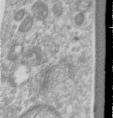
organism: Human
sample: Centriole in RPE cells